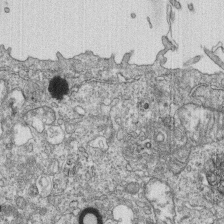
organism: Human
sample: HeLa cell HIV synapse